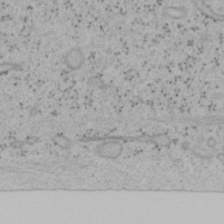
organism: Human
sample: HeLa cells